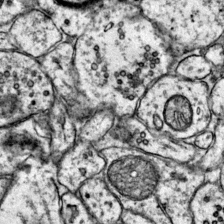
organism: Mouse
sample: Primary visual cortex